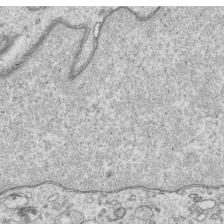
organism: Human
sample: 1205lu cells